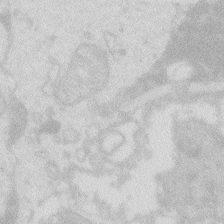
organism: Zebrafish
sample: Macrophage